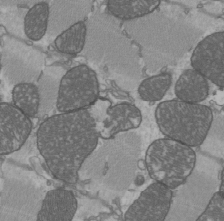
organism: C57BL Mouse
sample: Heart